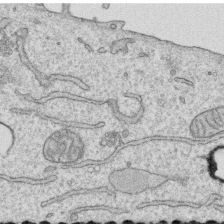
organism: Human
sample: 1205lu cells